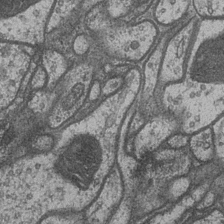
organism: Drosophila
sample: Optic medulla